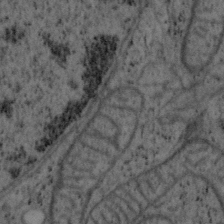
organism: Human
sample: HeLa cells